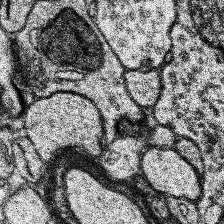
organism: Human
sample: Temporal Lobe